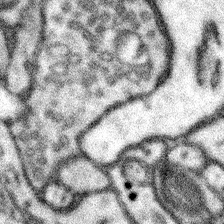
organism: Mouse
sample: Somatosensory cortex neuropil